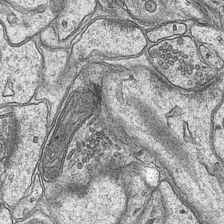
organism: Mouse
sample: CA1 Hippocampus